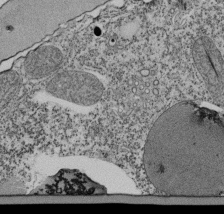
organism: Tetrahymena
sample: Cilia in tetrahymena